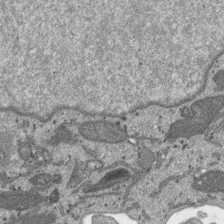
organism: Human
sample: Lung epithelial cells infected with SARS-CoV-2